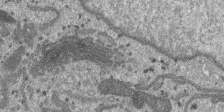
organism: Human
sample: Lung epithelial cells infected with SARS-CoV-2